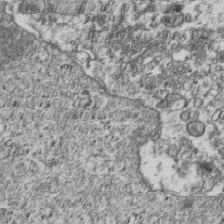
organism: Human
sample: Activated Jurkat CD4+ T cells